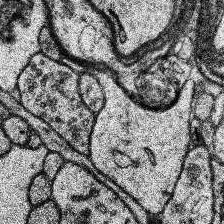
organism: Human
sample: Temporal Lobe